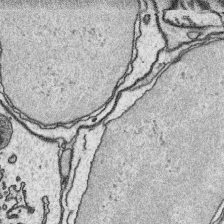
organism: Platynereis dumerilii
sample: Parapodia